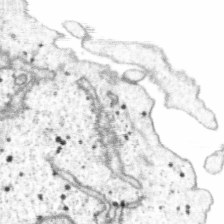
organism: Human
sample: HeLa cells